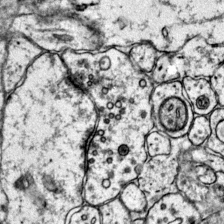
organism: Mouse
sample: Primary visual cortex